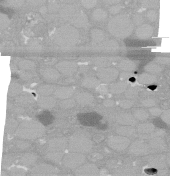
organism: C. elegans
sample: C. elegans oocyte; sperm cells